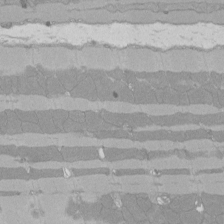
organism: Rat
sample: Left ventricle